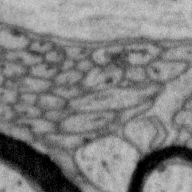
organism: Zebra finch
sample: Brain